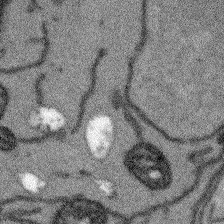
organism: Arabidopsis thaliana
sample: Root tip